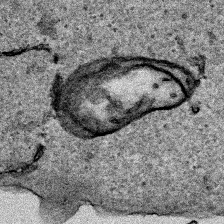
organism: Human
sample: Mitochondria in HCT116 cells